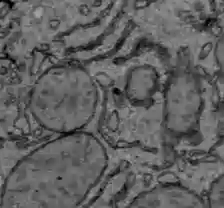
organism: C57BL Mouse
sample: Liver